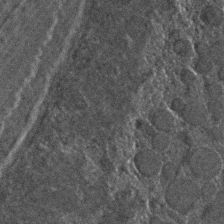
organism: C. elegans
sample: C. elegans embryo